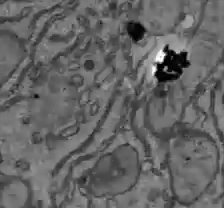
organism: C57BL Mouse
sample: Liver